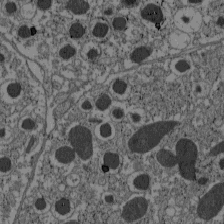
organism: C57BL Mouse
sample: Pancreatic islet